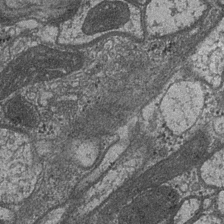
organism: Drosophila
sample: Optic medulla